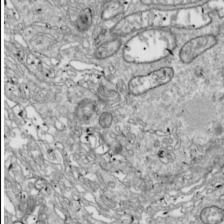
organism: Drosophila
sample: Cell division; meiosis; drosophila spermatocytes